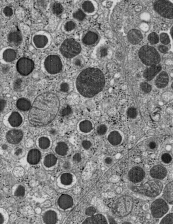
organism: C57BL Mouse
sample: Pancreatic islet